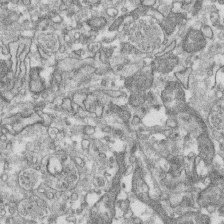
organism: Human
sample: CRL-1474